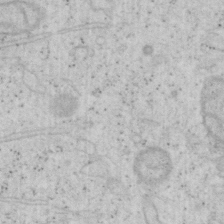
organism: Human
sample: HeLa cells